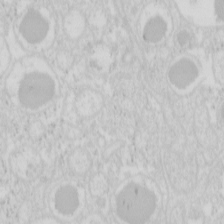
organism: Mouse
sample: Pancreas